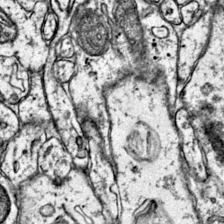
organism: Mouse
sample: Primary visual cortex